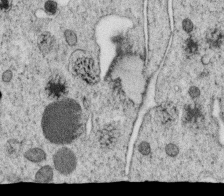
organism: C. elegans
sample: C. elegans oocyte; sperm cells